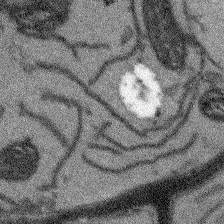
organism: Arabidopsis thaliana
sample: Root tip